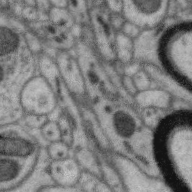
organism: Zebra finch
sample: Brain